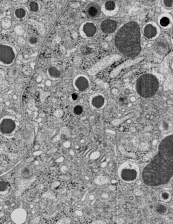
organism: C57BL Mouse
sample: Pancreatic islet